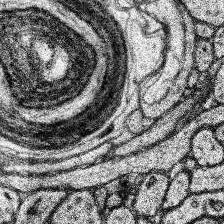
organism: Human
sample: Temporal Lobe